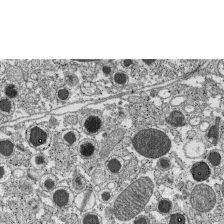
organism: C57BL Mouse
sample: Pancreatic islet